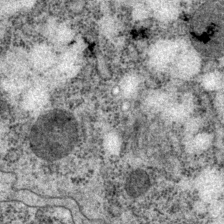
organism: P. pacificus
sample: Pharynx